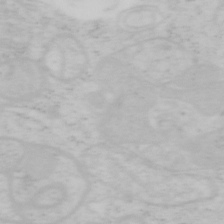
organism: Mouse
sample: OT-I killer T cells with ID8 ovarian cancer cells